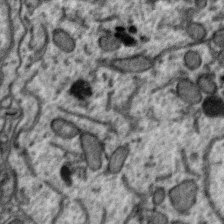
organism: Zebra finch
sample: Brain